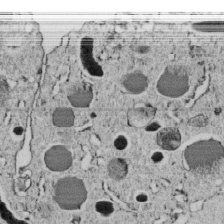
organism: C. elegans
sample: C. elegans embryo early stage